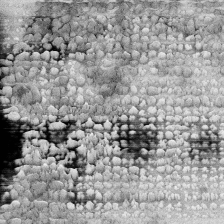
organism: Human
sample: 1205lu cells